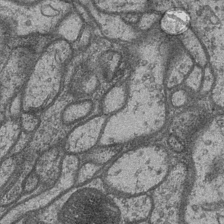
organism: Drosophila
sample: Optic medulla